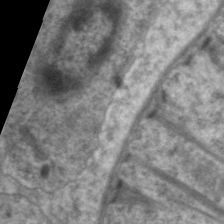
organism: C. elegans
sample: Pharynx